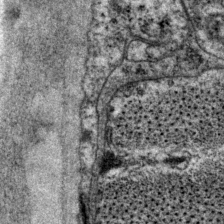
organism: P. pacificus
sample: Pharynx